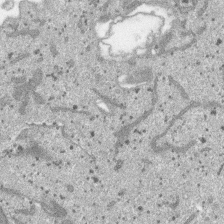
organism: Human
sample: Lung epithelial cells infected with SARS-CoV-2